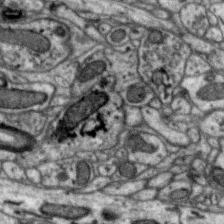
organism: Zebra finch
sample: Brain